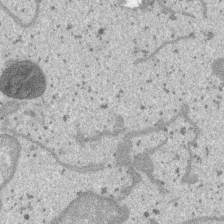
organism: Human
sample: Lung epithelial cells infected with SARS-CoV-2